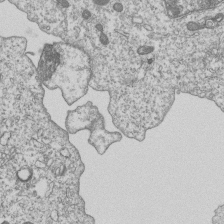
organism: Human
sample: MDA-MB-231 cells